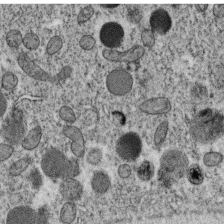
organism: C. elegans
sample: C. elegans oocyte; sperm cells